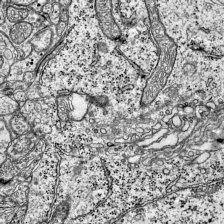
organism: Mouse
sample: Visual Cortex